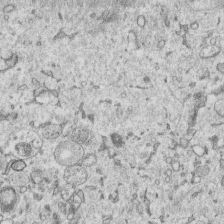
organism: Human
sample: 1205lu cells